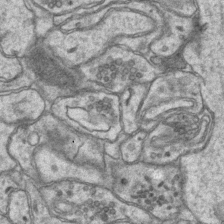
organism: Mouse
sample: CA1 Hippocampus